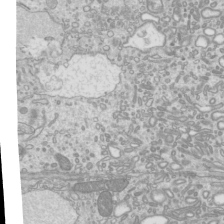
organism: Mouse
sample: Cilia; mouse epididymis